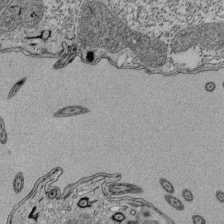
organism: Tetrahymena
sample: Cilia in tetrahymena